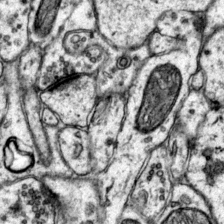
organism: Mouse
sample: Primary visual cortex